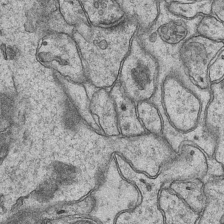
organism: Mouse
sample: CA1 Hippocampus